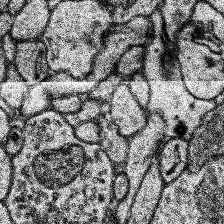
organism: Human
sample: Temporal Lobe